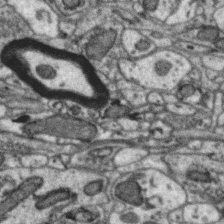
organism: Zebra finch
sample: Brain